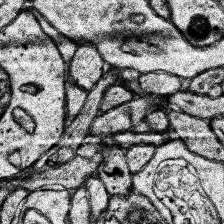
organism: Human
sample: Temporal Lobe